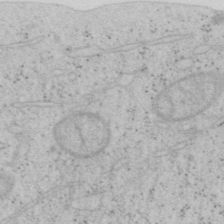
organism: Human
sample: HeLa cells